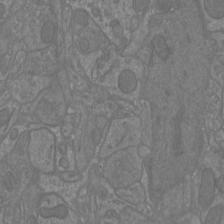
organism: Mouse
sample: Cortical neurons